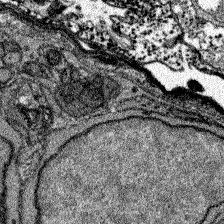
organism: Zebrafish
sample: Larval olfactory bulb